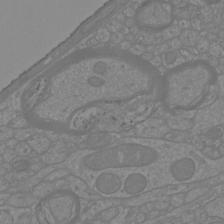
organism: Mouse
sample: Cortical neurons